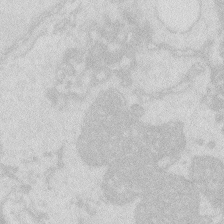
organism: Zebrafish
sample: Macrophage